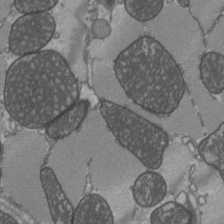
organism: C57BL Mouse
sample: Heart